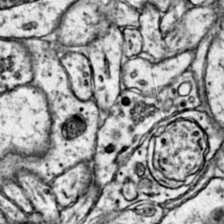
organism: Mouse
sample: Primary visual cortex